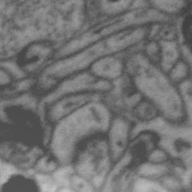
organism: Zebra finch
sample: Brain